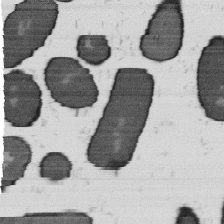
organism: B. subtilis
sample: Bacterial spore